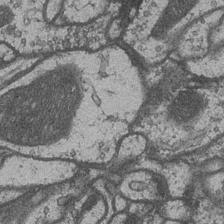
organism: Drosophila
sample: Optic medulla